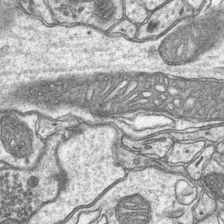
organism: Mouse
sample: CA1 Hippocampus